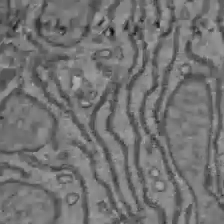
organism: C57BL Mouse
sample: Liver